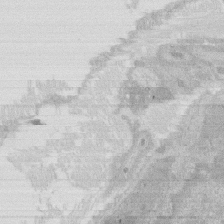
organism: Rat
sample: Salivary granule